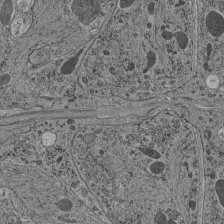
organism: C. elegans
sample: C. elegans pharynx